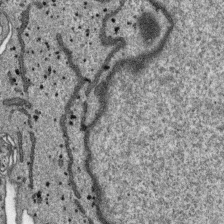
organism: Human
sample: Lung epithelial cells, uninfected (mock) control